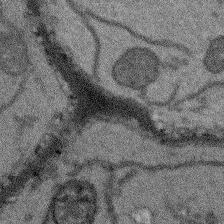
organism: Arabidopsis thaliana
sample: Root tip